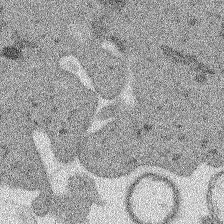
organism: Human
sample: HeLa cells